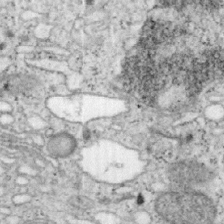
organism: Mouse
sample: OT-I killer T cells with ID8 ovarian cancer cells